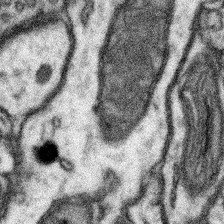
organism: Mouse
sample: Somatosensory cortex neuropil